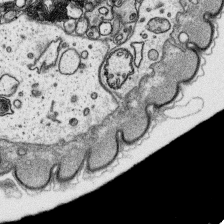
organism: Platynereis dumerilii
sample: Parapodia